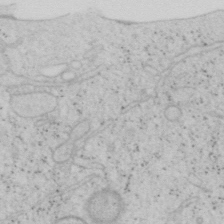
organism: Human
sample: HeLa cells